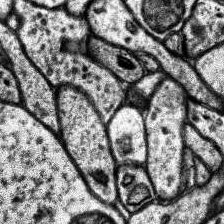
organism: Human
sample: Temporal Lobe